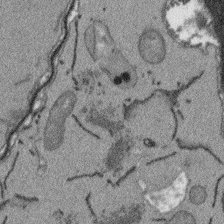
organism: Arabidopsis thaliana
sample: Root tip